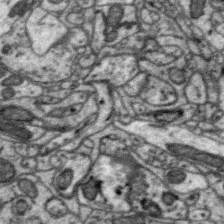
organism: Zebra finch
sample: Brain